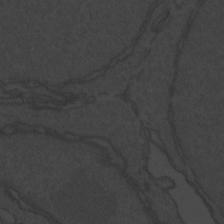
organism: Zebrafish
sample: Macrophage infected with Toxoplasma gondii